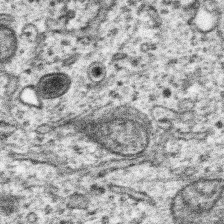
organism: Human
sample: HeLa cells